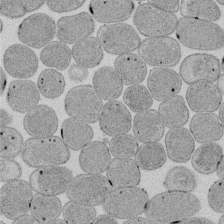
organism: E. coli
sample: Bacterial nucleoid